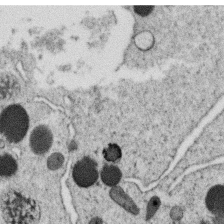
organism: C. elegans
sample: C. elegans oocyte; sperm cells